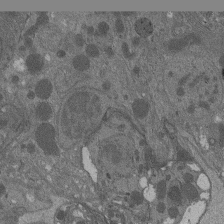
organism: Drosophila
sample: Antenna